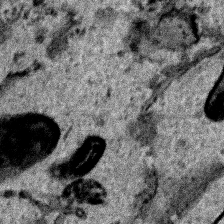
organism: Human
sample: Mitochondria in HCT116 cells